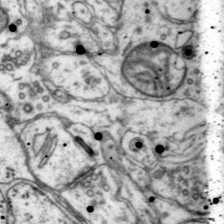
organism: Mouse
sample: Primary visual cortex